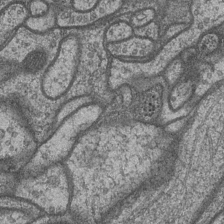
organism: Drosophila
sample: Optic medulla